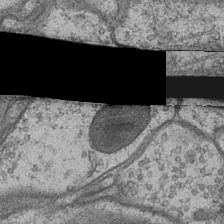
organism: Drosophila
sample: Optic medulla